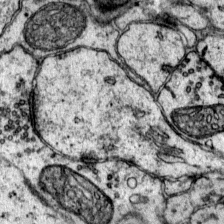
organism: Mouse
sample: Primary visual cortex